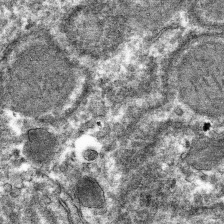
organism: Mouse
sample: Mouse hepatocytes